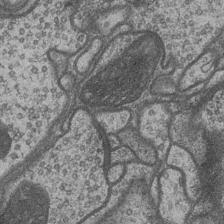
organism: Drosophila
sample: Optic medulla